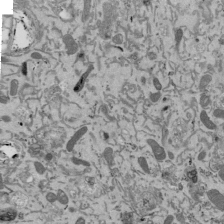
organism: Mouse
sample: ED-1 cell nuclei; centrioles